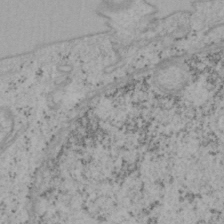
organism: Human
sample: HeLa cells